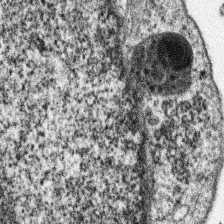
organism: Human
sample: HeLa cells